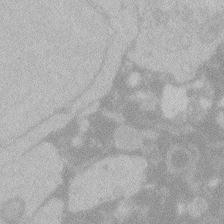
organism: Zebrafish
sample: Macrophage infected with Toxoplasma gondii